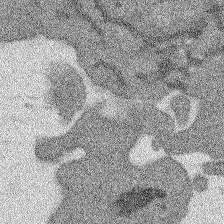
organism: Human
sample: HeLa cells